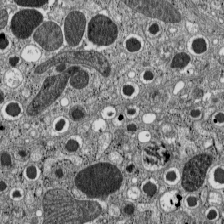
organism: C57BL Mouse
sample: Pancreatic islet